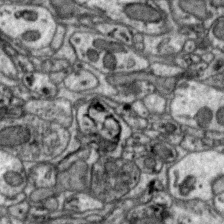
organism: Zebra finch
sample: Brain